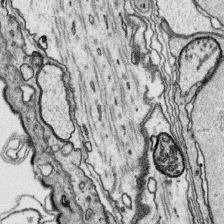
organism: Platynereis dumerilii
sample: Parapodia